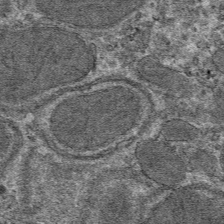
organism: Mouse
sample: Mouse hepatocytes